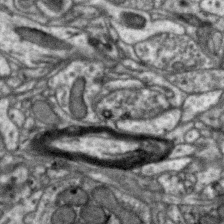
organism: Zebra finch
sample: Brain